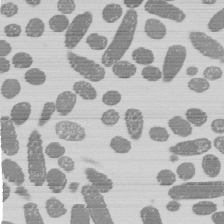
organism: E. coli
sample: Bacterial nucleoid